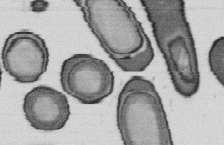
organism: B. subtilis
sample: Bacterial spore